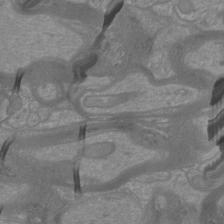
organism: Mouse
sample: Cortical neurons